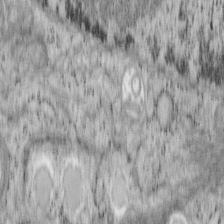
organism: Human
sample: HeLa cells